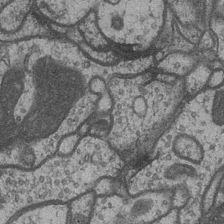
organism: Drosophila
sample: Optic medulla